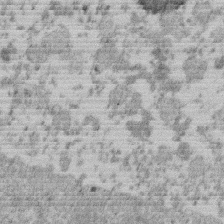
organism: Mouse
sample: Dividing mouse embryo 1 cell stage